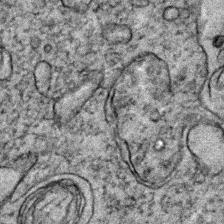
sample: Trachea